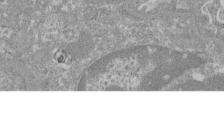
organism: Mouse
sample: Glomerulus